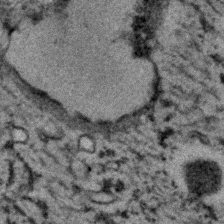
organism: C. elegans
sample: C. elegans embryo